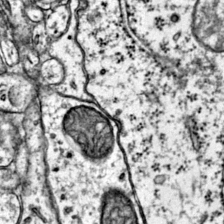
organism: Mouse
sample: Primary visual cortex